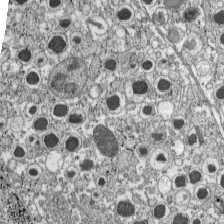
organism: C57BL Mouse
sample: Pancreatic islet